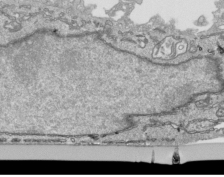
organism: Human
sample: Mitochondria in HCT116 cells